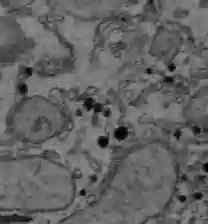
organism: C57BL Mouse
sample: Liver